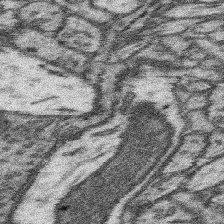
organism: Mouse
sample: Somatosensory cortex neuropil